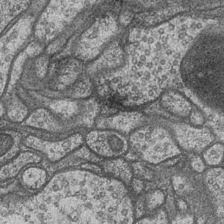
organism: Drosophila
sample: Optic medulla